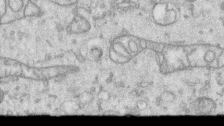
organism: Human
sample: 1205lu cells